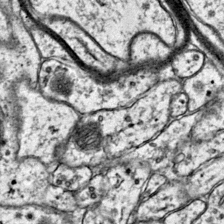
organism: Mouse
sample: Primary visual cortex